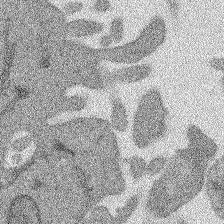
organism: Human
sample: HeLa cells